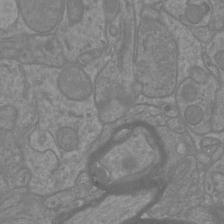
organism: Mouse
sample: Cortical neurons